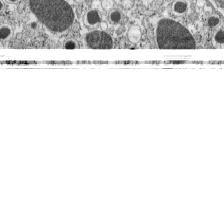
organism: C57BL Mouse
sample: Pancreatic islet